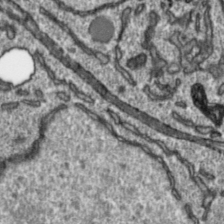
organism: Toxoplasma gondii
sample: Parasites in a vacuole inside a host cell